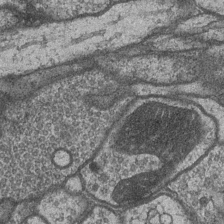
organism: Drosophila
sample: Optic medulla